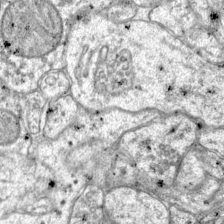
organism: Mouse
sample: Primary visual cortex